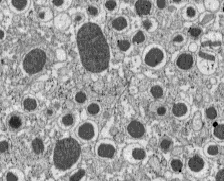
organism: C57BL Mouse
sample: Pancreatic islet